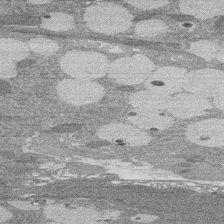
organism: Rat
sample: Salivary granule